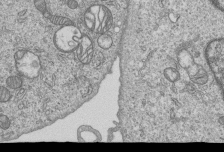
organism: Human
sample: MDA-MB-231 cells